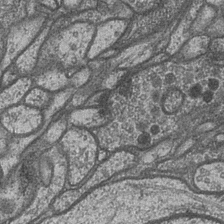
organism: Drosophila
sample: Optic medulla